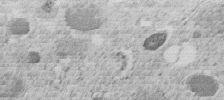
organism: C. elegans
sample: C. elegans embryo early stage